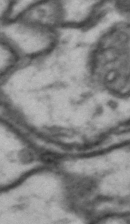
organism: Drosophila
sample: Brain